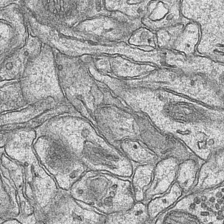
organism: Mouse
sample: CA1 Hippocampus